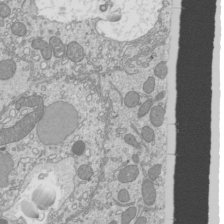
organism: Mouse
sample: Cilia; mouse epididymis